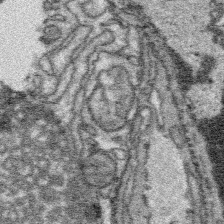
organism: Platynereis dumerilii